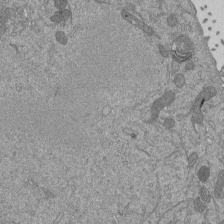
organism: Mouse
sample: ED-1 cell nuclei; centrioles